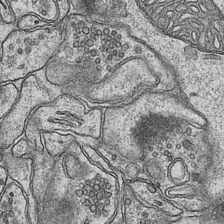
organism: Mouse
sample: CA1 Hippocampus